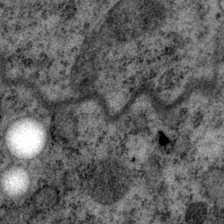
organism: P. pacificus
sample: Pharynx